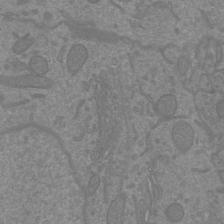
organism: Mouse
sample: Cortical neurons